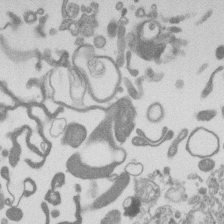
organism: Mouse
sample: Dividing mouse embryo 1 cell stage